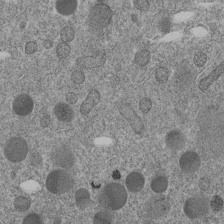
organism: C. elegans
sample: C. elegans embryo early stage